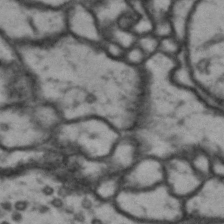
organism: Drosophila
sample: Brain